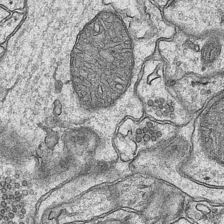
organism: Mouse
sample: CA1 Hippocampus